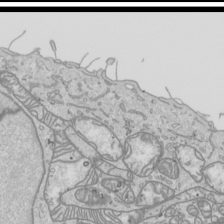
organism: Human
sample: Mitochondria in HCT116 cells